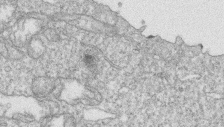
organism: Human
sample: HeLa cell HIV synapse